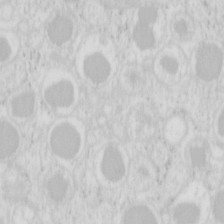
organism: Mouse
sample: Pancreas